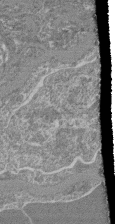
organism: Mouse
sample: Glomerulus